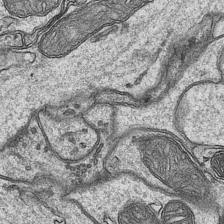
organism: Mouse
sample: CA1 Hippocampus